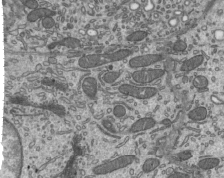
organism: Mouse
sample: Mouse epididymis efferent ductule cilia